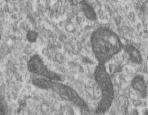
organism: Human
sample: Centriole in RPE cells